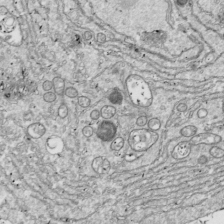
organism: Drosophila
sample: Cell division; meiosis; drosophila spermatocytes